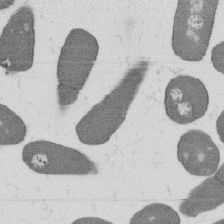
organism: B. subtilis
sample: Bacterial spore